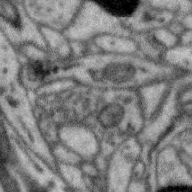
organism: Zebra finch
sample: Brain